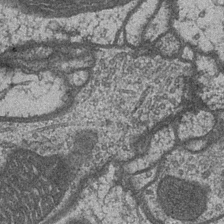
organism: Drosophila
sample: Optic medulla